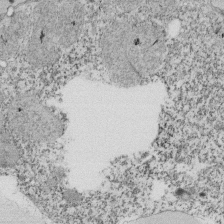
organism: Tetrahymena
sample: Cilia in tetrahymena